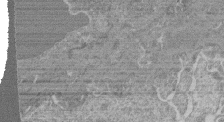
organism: Mouse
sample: Glomerulus